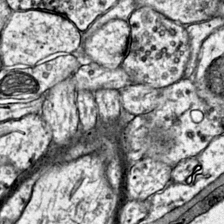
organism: Mouse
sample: Primary visual cortex